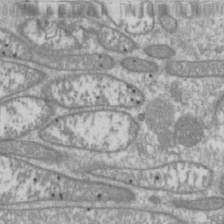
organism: Drosophila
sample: Cell division; meiosis; drosophila spermatocytes